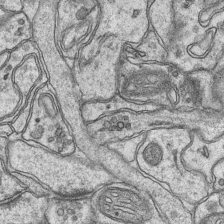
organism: Mouse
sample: CA1 Hippocampus